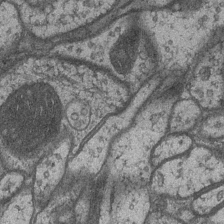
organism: Drosophila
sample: Optic medulla